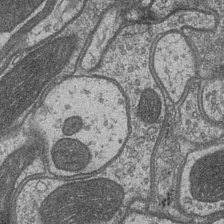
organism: Drosophila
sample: Optic medulla